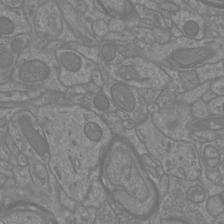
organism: Mouse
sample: Cortical neurons